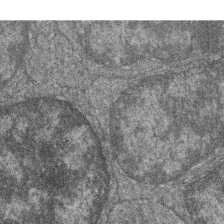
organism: Zebrafish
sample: Cilia; retinal pigment epithelium